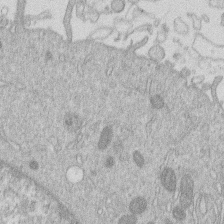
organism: Human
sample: Macrophage cells